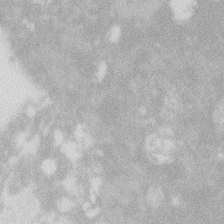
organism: Zebrafish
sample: Macrophage